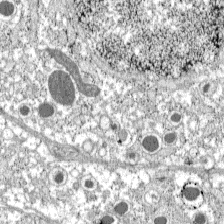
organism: C57BL Mouse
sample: Pancreatic islet